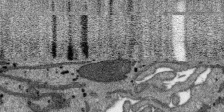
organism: Human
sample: Lung epithelial cells, uninfected (mock) control